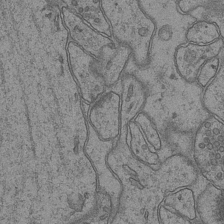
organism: Mouse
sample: CA1 Hippocampus